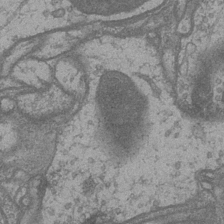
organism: Drosophila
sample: Optic medulla